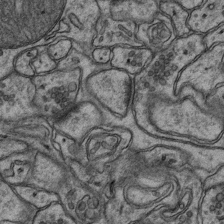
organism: Mouse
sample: CA1 Hippocampus